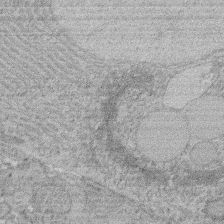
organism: Rat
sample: Salivary granule